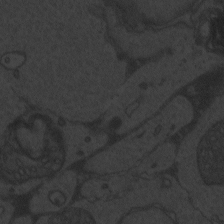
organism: Zebrafish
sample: Macrophage infected with Toxoplasma gondii